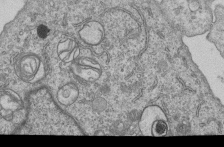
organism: Human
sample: MDA-MB-231 cells